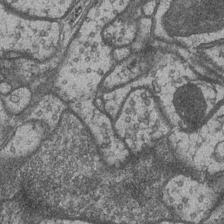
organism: Drosophila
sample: Optic medulla